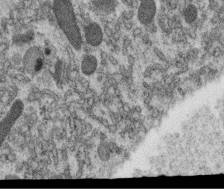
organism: C. elegans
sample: C. elegans oocyte; sperm cells